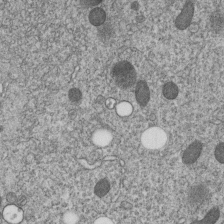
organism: C. elegans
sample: C. elegans embryo early stage